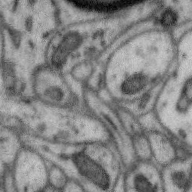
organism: Zebra finch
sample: Brain